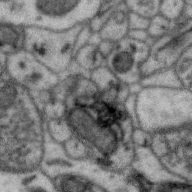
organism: Zebra finch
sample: Brain